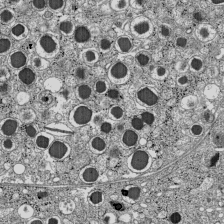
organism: C57BL Mouse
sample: Pancreatic islet